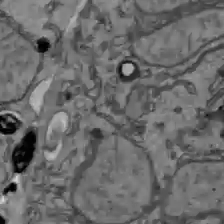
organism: C57BL Mouse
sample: Liver